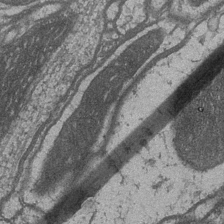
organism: Drosophila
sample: Optic medulla